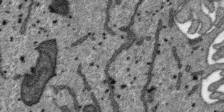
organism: Human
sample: Lung epithelial cells, uninfected (mock) control